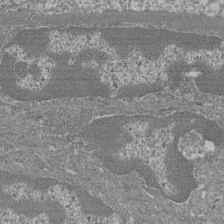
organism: Mouse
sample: Glomerulus